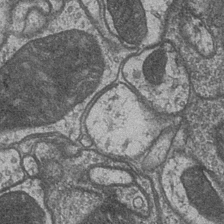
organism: Drosophila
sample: Optic medulla